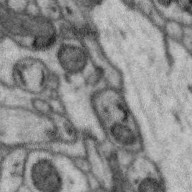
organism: Zebra finch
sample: Brain